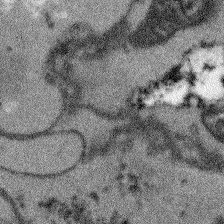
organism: Arabidopsis thaliana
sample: Root tip